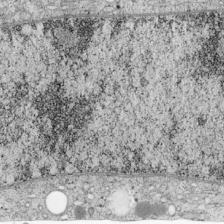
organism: African green monkey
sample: COS-7 cells